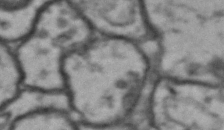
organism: Drosophila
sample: Brain